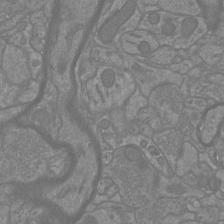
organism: Mouse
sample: Cortical neurons